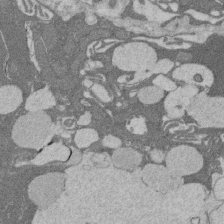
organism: Rat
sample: Salivary granule